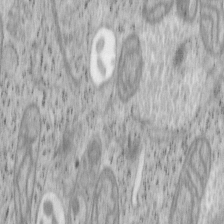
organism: Human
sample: HeLa cells